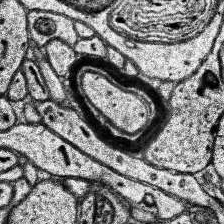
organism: Human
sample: Temporal Lobe